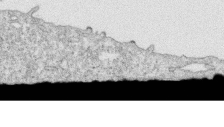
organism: Human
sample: HeLa cell HIV synapse